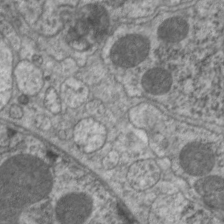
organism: C. elegans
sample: Pharynx